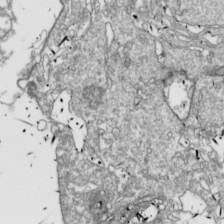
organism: Drosophila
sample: Cell division; meiosis; drosophila spermatocytes